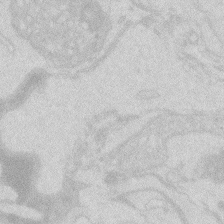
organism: Zebrafish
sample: Macrophage